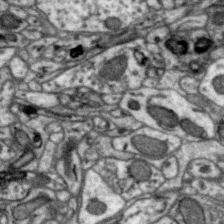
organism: Zebra finch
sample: Brain